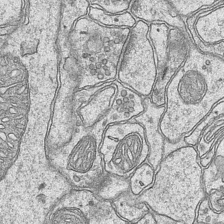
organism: Mouse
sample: CA1 Hippocampus